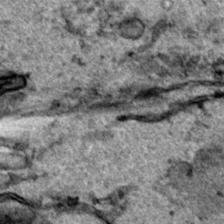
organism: Human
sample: Mitochondria in HCT116 cells